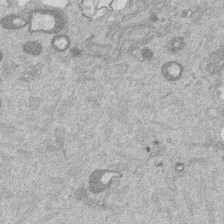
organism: Mouse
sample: Dividing mouse embryo 1 cell stage